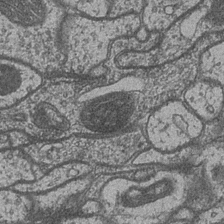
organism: Drosophila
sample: Optic medulla